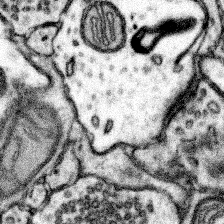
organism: Mouse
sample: Somatosensory cortex neuropil